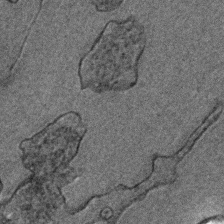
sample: Trachea